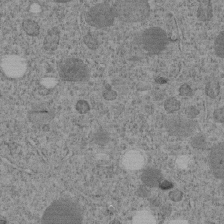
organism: C. elegans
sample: C. elegans embryo early stage